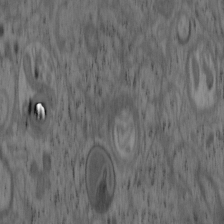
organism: Human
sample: HeLa cells